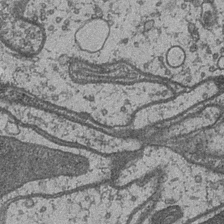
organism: Drosophila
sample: Optic medulla